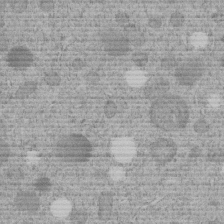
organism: C. elegans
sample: C. elegans embryo early stage